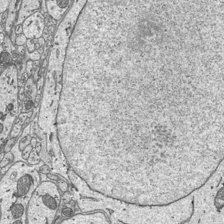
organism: Mouse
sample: Suprachiasmatic nucleus